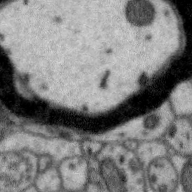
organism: Zebra finch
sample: Brain